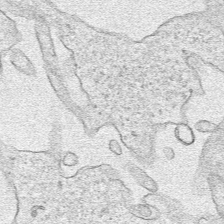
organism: Human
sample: Mitochondria in HCT116 cells